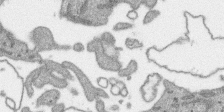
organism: Human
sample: Lung epithelial cells infected with SARS-CoV-2